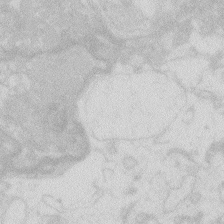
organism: Zebrafish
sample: Macrophage